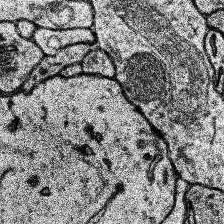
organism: Human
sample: Temporal Lobe